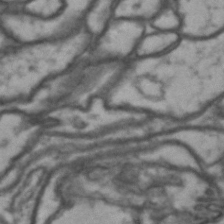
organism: Drosophila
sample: Brain